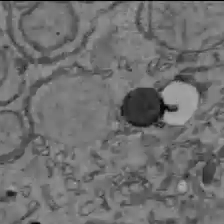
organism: C57BL Mouse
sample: Liver